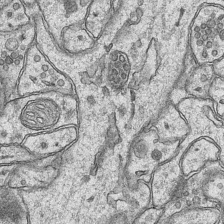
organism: Mouse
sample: CA1 Hippocampus